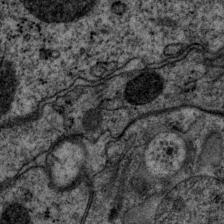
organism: P. pacificus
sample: Pharynx